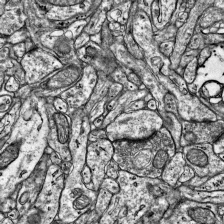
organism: Mouse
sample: Visual Cortex